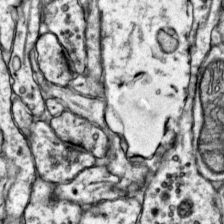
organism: Mouse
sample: Primary visual cortex